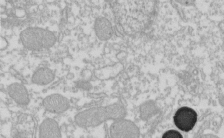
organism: Xenopus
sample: Cilia; centrioles in frog embryo cells